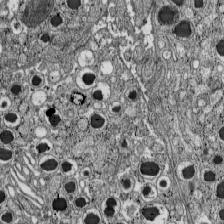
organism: C57BL Mouse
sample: Pancreatic islet